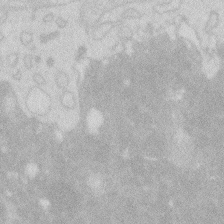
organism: Zebrafish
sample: Macrophage